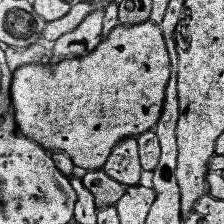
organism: Human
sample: Temporal Lobe